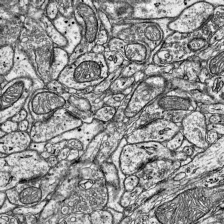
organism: Mouse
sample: Visual Cortex